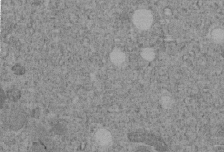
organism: C. elegans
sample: C. elegans embryo early stage